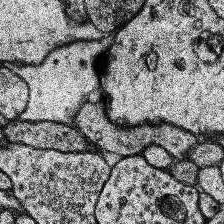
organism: Human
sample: Temporal Lobe